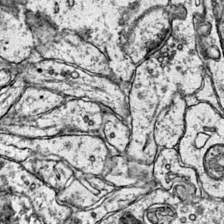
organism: Mouse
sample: Primary visual cortex